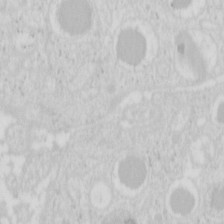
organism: Mouse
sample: Pancreas